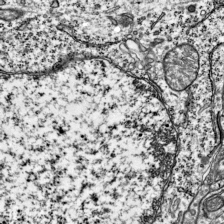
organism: Mouse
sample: Visual Cortex